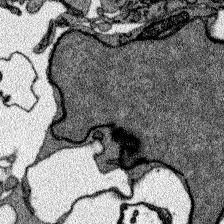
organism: Zebrafish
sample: Larval olfactory bulb